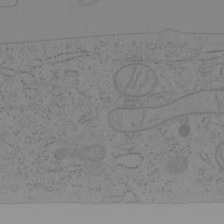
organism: Human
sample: HeLa cells